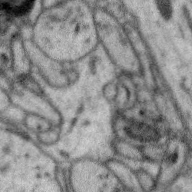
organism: Zebra finch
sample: Brain